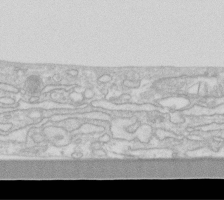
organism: Human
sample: Fibroblast cells